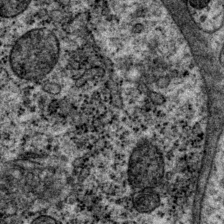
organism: P. pacificus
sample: Pharynx